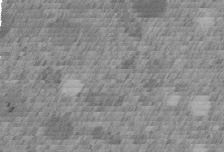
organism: C. elegans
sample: C. elegans embryo early stage